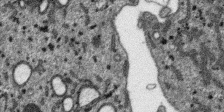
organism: Human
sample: Lung epithelial cells infected with SARS-CoV-2